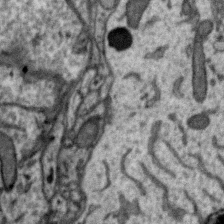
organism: Zebra finch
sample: Brain